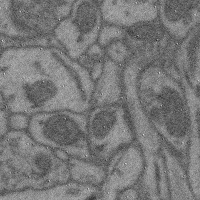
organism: Mouse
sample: Cerebral cortex